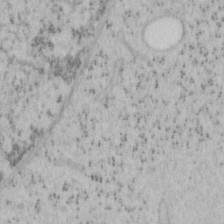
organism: Human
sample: HeLa cells